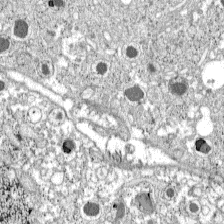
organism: C57BL Mouse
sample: Pancreatic islet